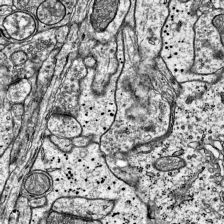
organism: Mouse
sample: Visual Cortex